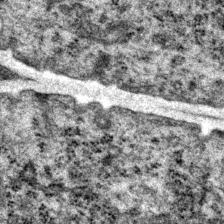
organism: P. pacificus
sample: Pharynx